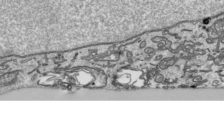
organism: Human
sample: Mitochondria in HCT116 cells